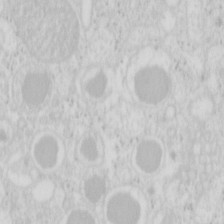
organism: Mouse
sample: Pancreas